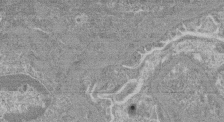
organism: Mouse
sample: Glomerulus